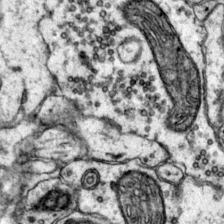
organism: Mouse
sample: Primary visual cortex